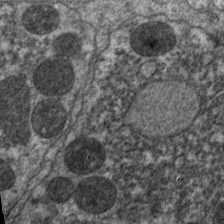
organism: C. elegans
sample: Pharynx